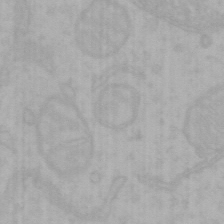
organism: Mouse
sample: Choroid plexus